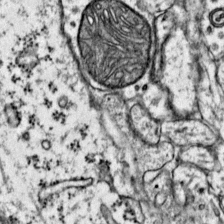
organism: Mouse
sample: Primary visual cortex